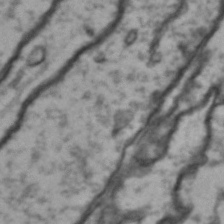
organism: Drosophila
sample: Brain